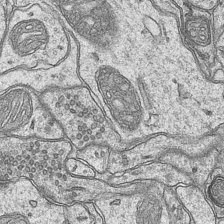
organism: Mouse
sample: CA1 Hippocampus